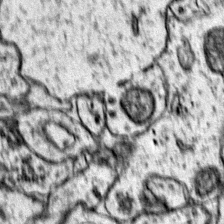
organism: Mouse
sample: Primary visual cortex